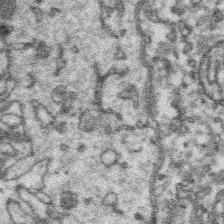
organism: Platynereis dumerilii